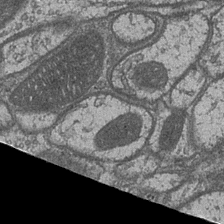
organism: Drosophila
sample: Optic medulla